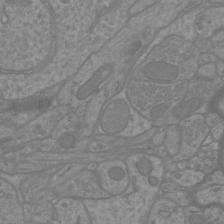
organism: Mouse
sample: Cortical neurons